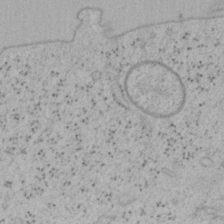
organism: Human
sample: HeLa cells